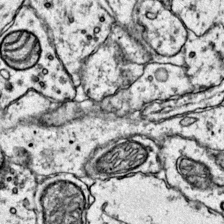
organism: Mouse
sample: Primary visual cortex